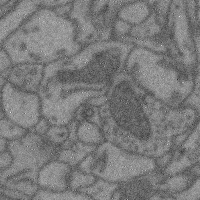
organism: Mouse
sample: Cerebral cortex